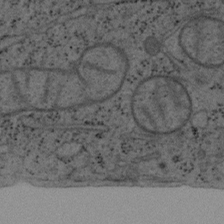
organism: Human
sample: HeLa cells